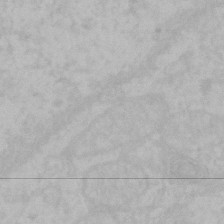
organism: Mouse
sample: Choroid plexus